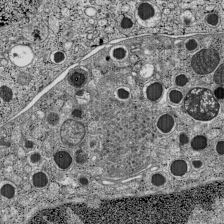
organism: C57BL Mouse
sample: Pancreatic islet